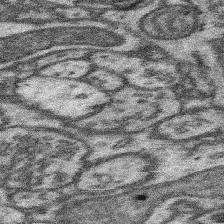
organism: Mouse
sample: Somatosensory cortex neuropil